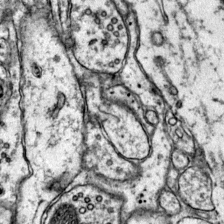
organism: Mouse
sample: Primary visual cortex